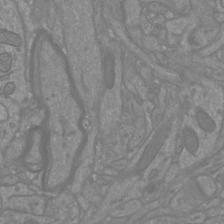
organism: Mouse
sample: Cortical neurons